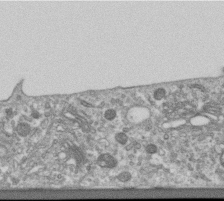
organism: Human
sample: Centriole in RPE cells